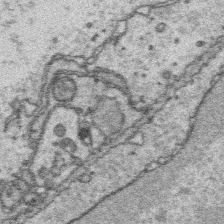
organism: Platynereis dumerilii